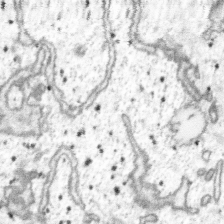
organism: Human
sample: HeLa cells